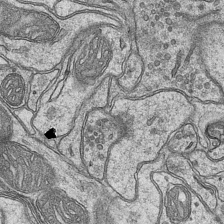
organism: Mouse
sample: CA1 Hippocampus